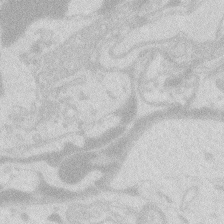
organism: Zebrafish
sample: Macrophage